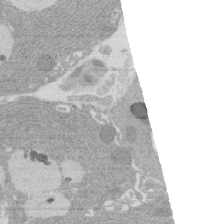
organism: Rat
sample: Salivary granule